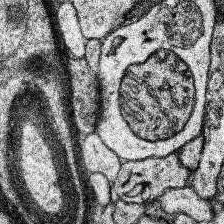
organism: Human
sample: Temporal Lobe